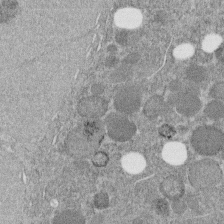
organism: C. elegans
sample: C. elegans embryo early stage